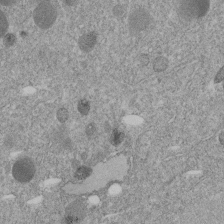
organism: C. elegans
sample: C. elegans embryo early stage